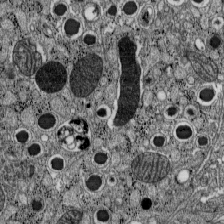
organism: C57BL Mouse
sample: Pancreatic islet